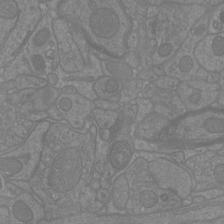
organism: Mouse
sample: Cortical neurons